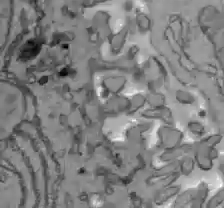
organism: C57BL Mouse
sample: Liver